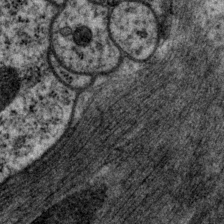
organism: P. pacificus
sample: Pharynx